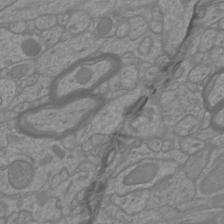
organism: Mouse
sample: Cortical neurons